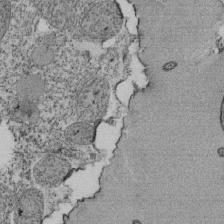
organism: Tetrahymena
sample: Cilia in tetrahymena